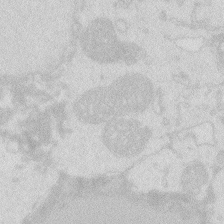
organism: Zebrafish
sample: Macrophage